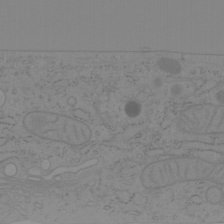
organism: Human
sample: HeLa cells